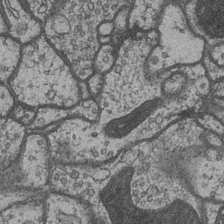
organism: Drosophila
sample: Optic medulla